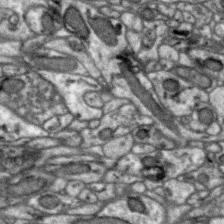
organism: Zebra finch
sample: Brain